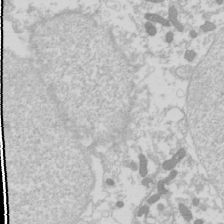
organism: Drosophila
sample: Cell division; meiosis; drosophila spermatocytes